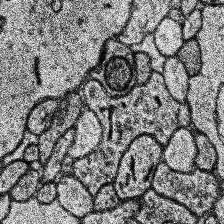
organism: Human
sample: Temporal Lobe